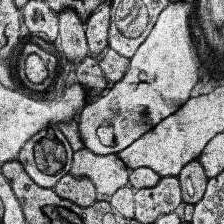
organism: Human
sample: Temporal Lobe